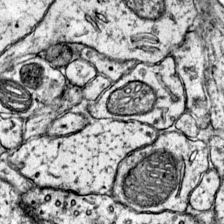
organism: Mouse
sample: Primary visual cortex